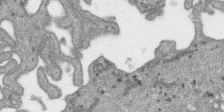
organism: Human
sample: Lung epithelial cells infected with SARS-CoV-2